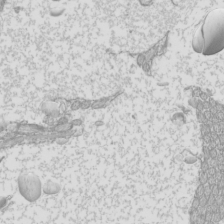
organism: Mouse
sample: Cilia; mouse epididymis